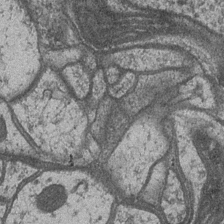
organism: Drosophila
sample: Optic medulla